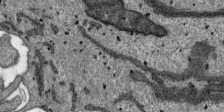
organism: Human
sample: Lung epithelial cells, uninfected (mock) control